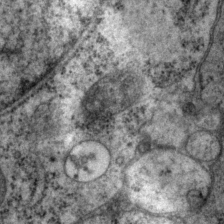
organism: P. pacificus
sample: Pharynx